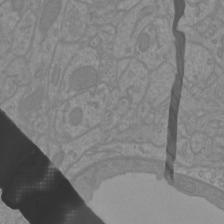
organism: Mouse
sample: Cortical neurons